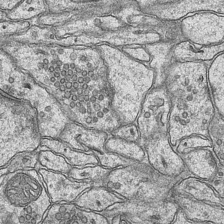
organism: Mouse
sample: CA1 Hippocampus